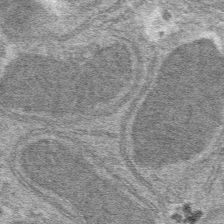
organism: Mouse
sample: Mouse hepatocytes